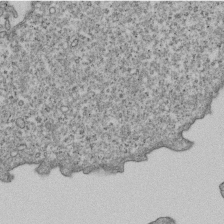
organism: Human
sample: MDA-MB-231 cells